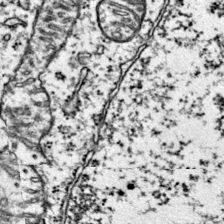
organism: Mouse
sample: Primary visual cortex